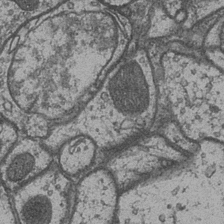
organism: Drosophila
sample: Optic medulla